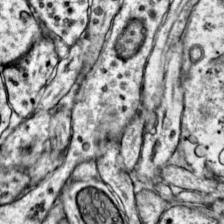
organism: Mouse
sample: Primary visual cortex